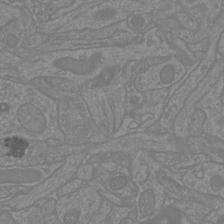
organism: Mouse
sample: Cortical neurons